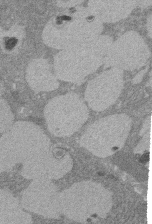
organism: Rat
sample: Salivary granule